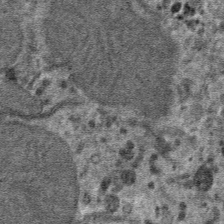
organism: Mouse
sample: Mouse hepatocytes